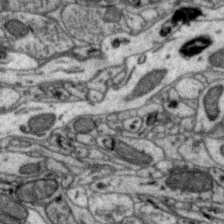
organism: Zebra finch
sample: Brain